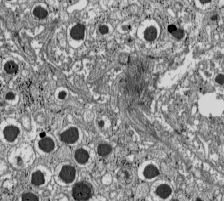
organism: C57BL Mouse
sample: Pancreatic islet